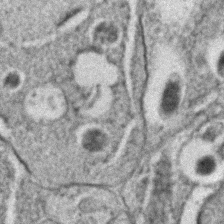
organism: C. elegans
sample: C. elegans embryo